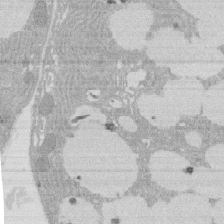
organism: Rat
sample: Salivary granule